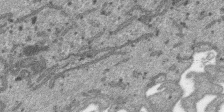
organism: Human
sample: Lung epithelial cells infected with SARS-CoV-2